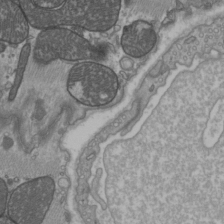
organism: C57BL Mouse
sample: Heart